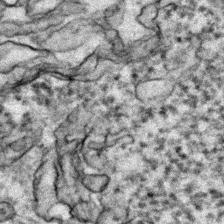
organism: Zebrafish